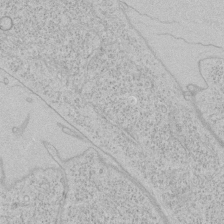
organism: Human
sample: Mitochondria in HCT116 cells